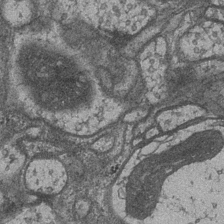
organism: Drosophila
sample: Optic medulla